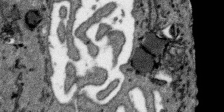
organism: Human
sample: Lung epithelial cells, uninfected (mock) control